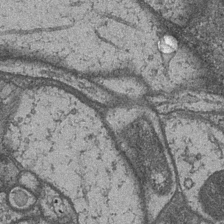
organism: Drosophila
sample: Optic medulla